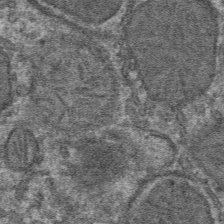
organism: Mouse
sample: Mouse hepatocytes